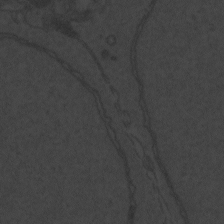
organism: Zebrafish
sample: Macrophage infected with Toxoplasma gondii